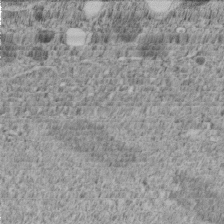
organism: C. elegans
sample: C. elegans embryo early stage